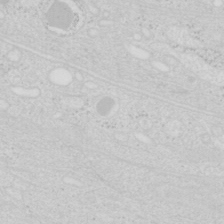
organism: Mouse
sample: Pancreas